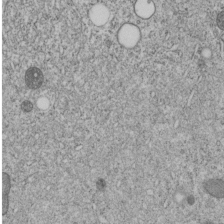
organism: C. elegans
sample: C. elegans embryo early stage